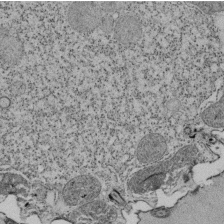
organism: Tetrahymena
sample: Cilia in tetrahymena